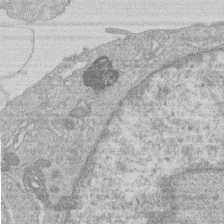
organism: Human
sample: Macrophage cells